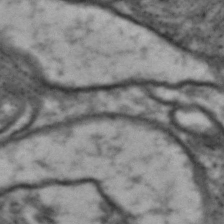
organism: Drosophila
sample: Brain